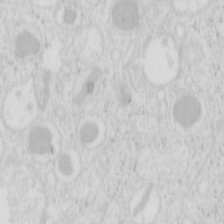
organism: Mouse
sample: Pancreas